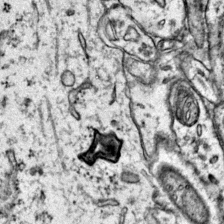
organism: Mouse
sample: Primary visual cortex